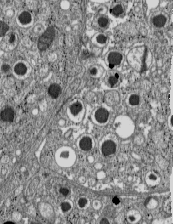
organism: C57BL Mouse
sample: Pancreatic islet